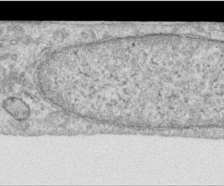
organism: Human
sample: Centriole in RPE cells